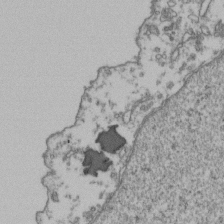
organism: Human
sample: Activated Jurkat CD4+ T cells